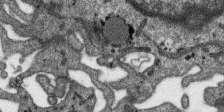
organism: Human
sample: Lung epithelial cells infected with SARS-CoV-2